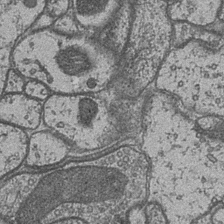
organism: Drosophila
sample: Optic medulla